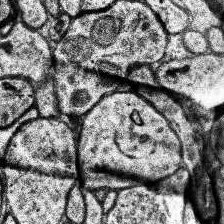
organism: Human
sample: Temporal Lobe